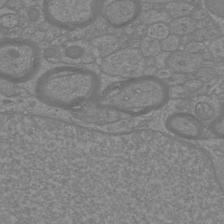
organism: Mouse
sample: Cortical neurons